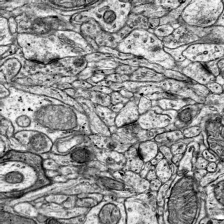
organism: Mouse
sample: Visual Cortex